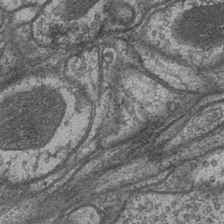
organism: Drosophila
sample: Optic medulla